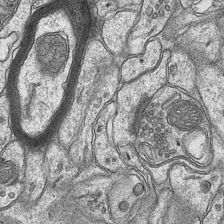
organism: Mouse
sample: CA1 Hippocampus